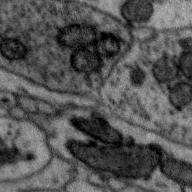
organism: Zebra finch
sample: Brain